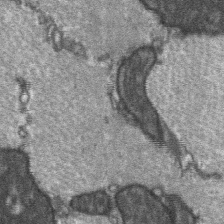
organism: C57BL Mouse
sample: Soleus